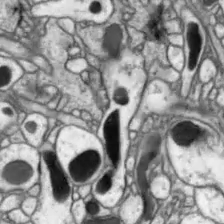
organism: Drosophila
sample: Optic lobe